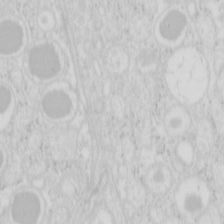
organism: Mouse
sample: Pancreas